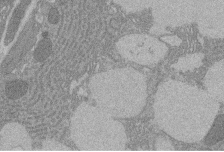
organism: Rat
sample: Salivary granule